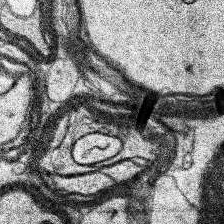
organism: Human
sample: Temporal Lobe